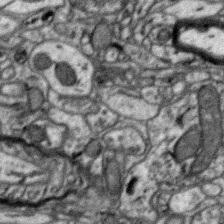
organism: Zebra finch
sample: Brain